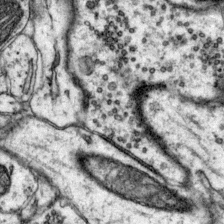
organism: Mouse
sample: Primary visual cortex